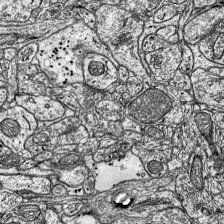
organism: Mouse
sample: Visual Cortex